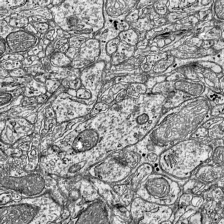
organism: Mouse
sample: Visual Cortex